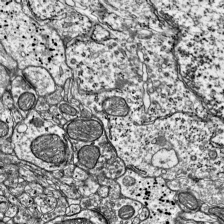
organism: Mouse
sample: Visual Cortex